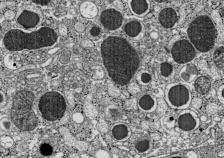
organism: C57BL Mouse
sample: Pancreatic islet